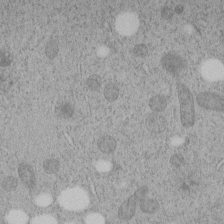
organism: C. elegans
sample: C. elegans embryo early stage